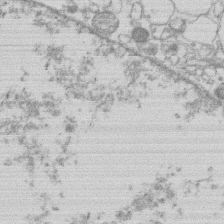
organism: Human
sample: Macrophage cells